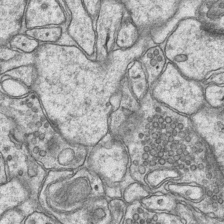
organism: Mouse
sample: CA1 Hippocampus